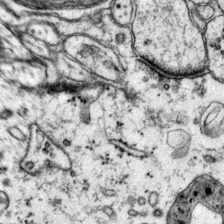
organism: Mouse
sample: Primary visual cortex